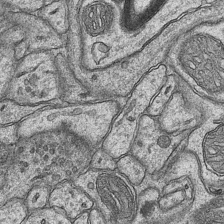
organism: Mouse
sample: CA1 Hippocampus